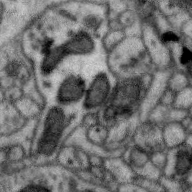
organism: Zebra finch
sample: Brain